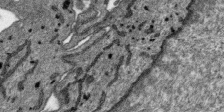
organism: Human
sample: Lung epithelial cells, uninfected (mock) control